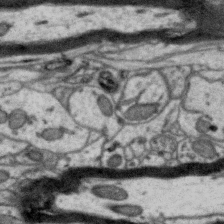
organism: Zebra finch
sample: Brain